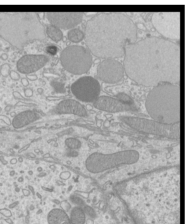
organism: Mouse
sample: Cilia; mouse epididymis